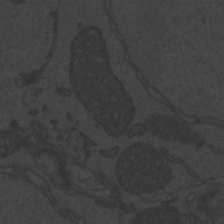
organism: Zebrafish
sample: Macrophage infected with Toxoplasma gondii